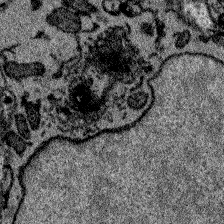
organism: Zebrafish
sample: Larval olfactory bulb